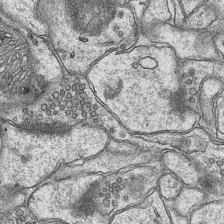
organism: Mouse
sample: CA1 Hippocampus